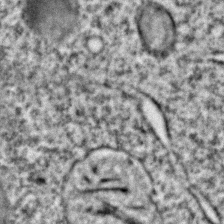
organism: C. elegans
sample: C. elegans embryo